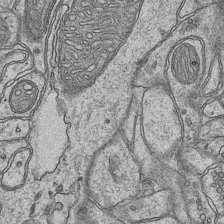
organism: Mouse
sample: CA1 Hippocampus